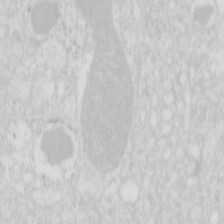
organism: Mouse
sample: Pancreas